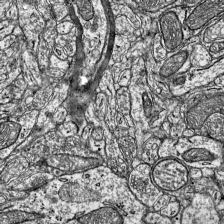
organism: Mouse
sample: Visual Cortex